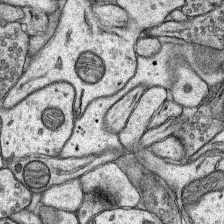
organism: Rat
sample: Hippocampus